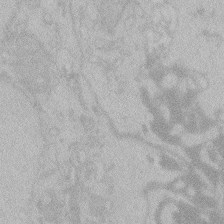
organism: Zebrafish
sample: Macrophage infected with Toxoplasma gondii